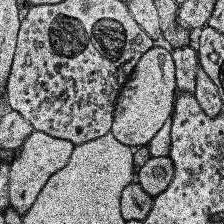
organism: Human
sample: Temporal Lobe